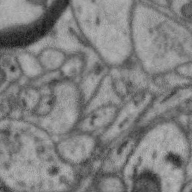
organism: Zebra finch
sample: Brain